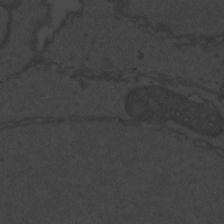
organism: Zebrafish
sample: Macrophage infected with Toxoplasma gondii